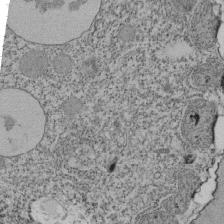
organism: Tetrahymena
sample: Cilia in tetrahymena